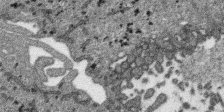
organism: Human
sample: Lung epithelial cells infected with SARS-CoV-2